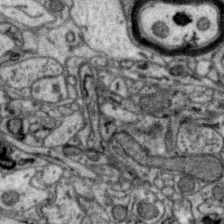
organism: Zebra finch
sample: Brain